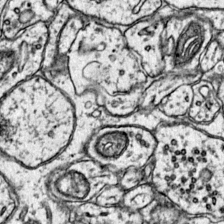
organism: Mouse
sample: Primary visual cortex